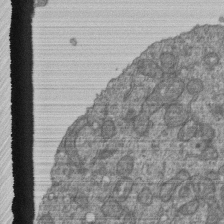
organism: Human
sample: Retinal organoid Rod and Cone cells